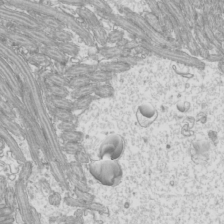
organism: Mouse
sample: Cilia; mouse epididymis